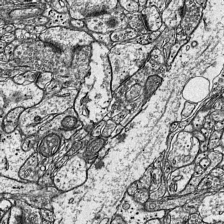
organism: Mouse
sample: Visual Cortex